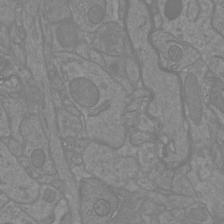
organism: Mouse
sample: Cortical neurons